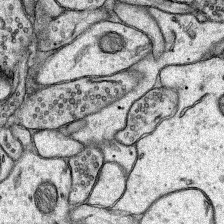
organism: Rat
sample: Hippocampus